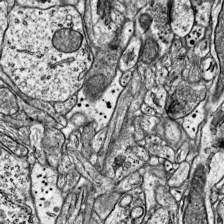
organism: Mouse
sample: Visual Cortex